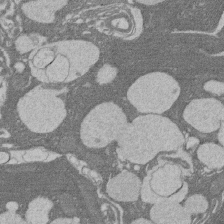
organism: Rat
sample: Salivary granule